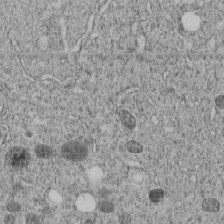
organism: C. elegans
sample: C. elegans embryo early stage